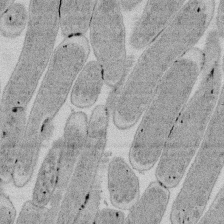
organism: E. coli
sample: Bacterial nucleoid